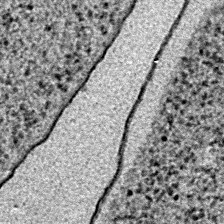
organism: E. coli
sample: E. Coli Bacteria